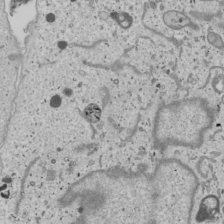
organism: Human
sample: Mitochondria in U2OS cells